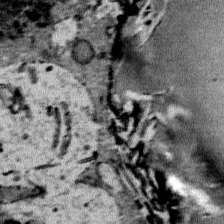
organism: Mouse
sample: Mouse Salivary gland